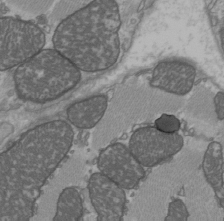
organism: C57BL Mouse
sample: Heart